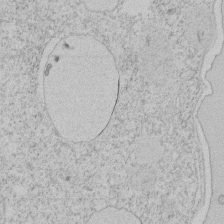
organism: Tetrahymena